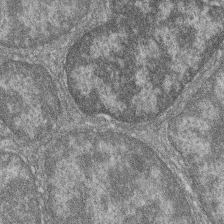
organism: Zebrafish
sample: Cilia; retinal pigment epithelium